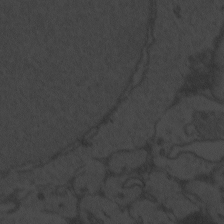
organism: Zebrafish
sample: Macrophage infected with Toxoplasma gondii